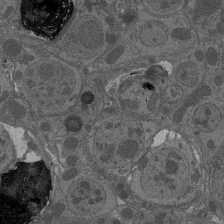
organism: Drosophila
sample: Antenna